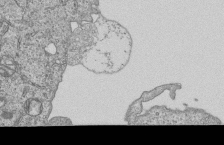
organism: Human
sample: MDA-MB-231 cells